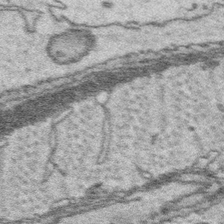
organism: Platynereis dumerilii